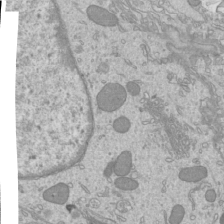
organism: Mouse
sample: Cilia; mouse epididymis